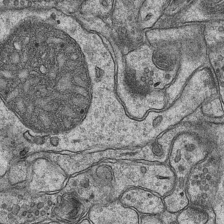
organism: Mouse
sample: CA1 Hippocampus